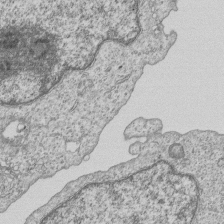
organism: Human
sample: MDA-MB-231 cells